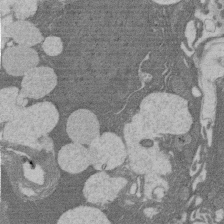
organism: Rat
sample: Salivary granule